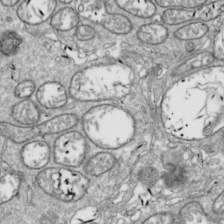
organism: Drosophila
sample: Cell division; meiosis; drosophila spermatocytes